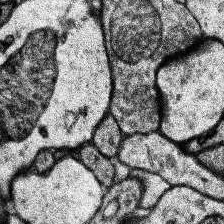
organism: Human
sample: Temporal Lobe